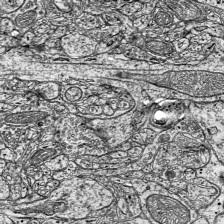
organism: Mouse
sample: Visual Cortex